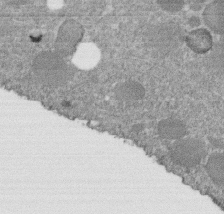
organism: C. elegans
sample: C. elegans embryo early stage